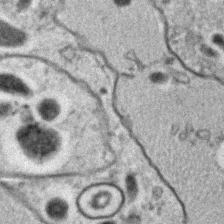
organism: C. elegans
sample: C. elegans embryo